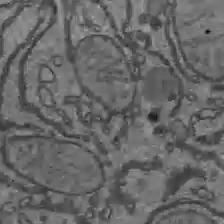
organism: C57BL Mouse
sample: Liver